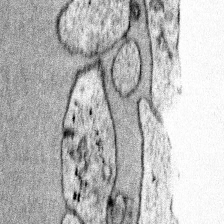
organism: Human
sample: HeLa cells